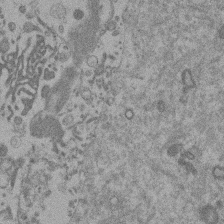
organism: Mouse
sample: Dividing mouse embryo 1 cell stage